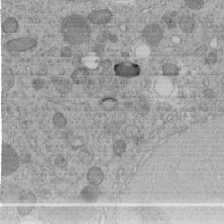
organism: C. elegans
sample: C. elegans embryo early stage